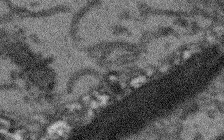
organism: Arabidopsis thaliana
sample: Root tip